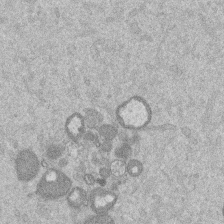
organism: Mouse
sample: Dividing mouse embryo 1 cell stage